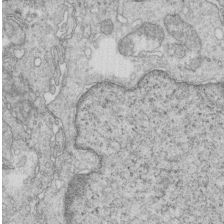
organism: Mouse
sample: Multiciliated cells